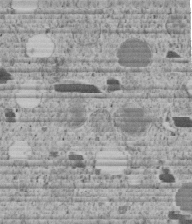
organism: C. elegans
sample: C. elegans embryo early stage